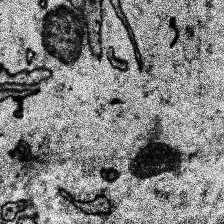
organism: Human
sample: Temporal Lobe